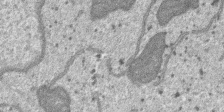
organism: Human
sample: Lung epithelial cells infected with SARS-CoV-2